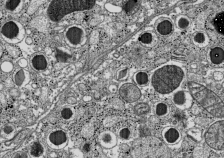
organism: C57BL Mouse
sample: Pancreatic islet